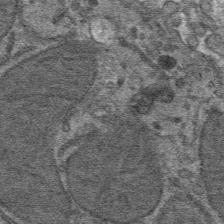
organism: Mouse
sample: Mouse hepatocytes